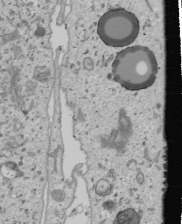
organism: Human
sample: Mitochondria in U2OS cells